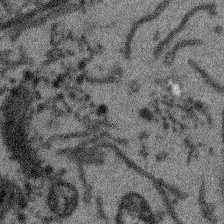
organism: Arabidopsis thaliana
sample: Root tip